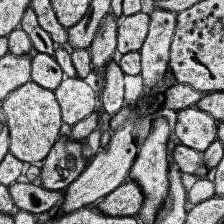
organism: Human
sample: Temporal Lobe